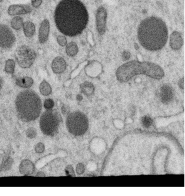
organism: C. elegans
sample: C. elegans oocyte; sperm cells